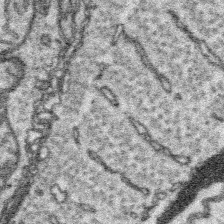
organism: Platynereis dumerilii